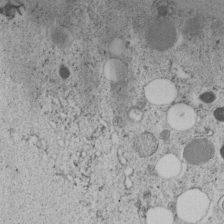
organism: C. elegans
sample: C. elegans embryo early stage